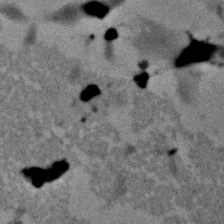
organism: Zebrafish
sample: Zebrafish embryo